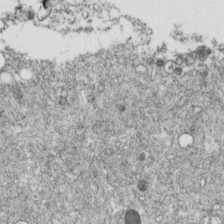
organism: C. elegans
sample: C. elegans embryo early stage